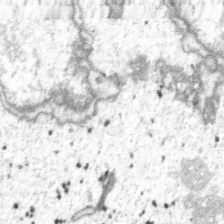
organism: Human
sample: HeLa cells